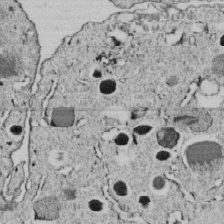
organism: C. elegans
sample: C. elegans embryo early stage